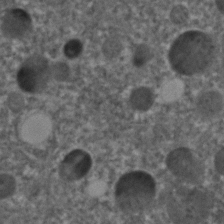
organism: C. elegans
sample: C. elegans embryo